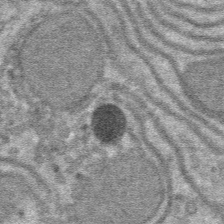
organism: Mouse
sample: Mouse hepatocytes